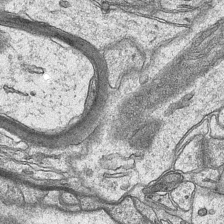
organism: Mouse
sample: CA1 Hippocampus